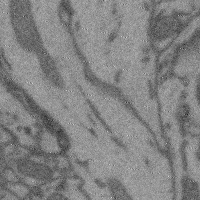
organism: Mouse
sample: Cerebral cortex